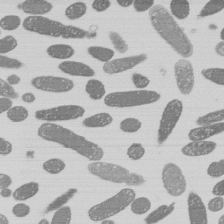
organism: E. coli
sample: Bacterial nucleoid